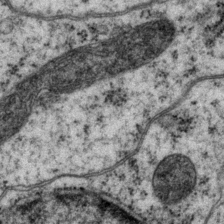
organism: P. pacificus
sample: Pharynx